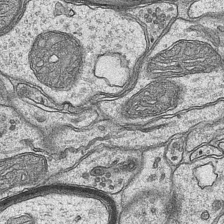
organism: Mouse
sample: CA1 Hippocampus